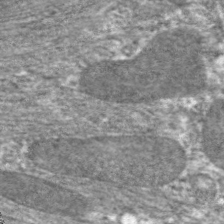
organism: C. elegans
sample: Pharynx